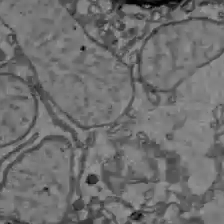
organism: C57BL Mouse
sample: Liver